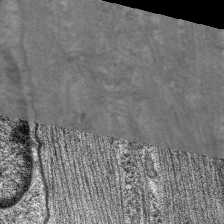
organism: C. elegans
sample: Pharynx